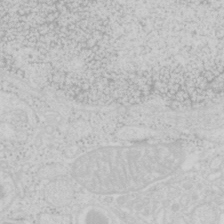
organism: Mouse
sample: Pancreas